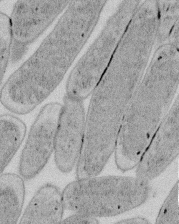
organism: E. coli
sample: Bacterial nucleoid